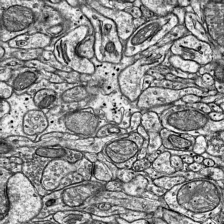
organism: Mouse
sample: Visual Cortex